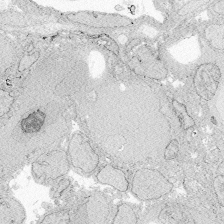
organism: Zebrafish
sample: Whole-Brain